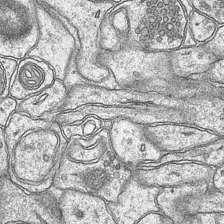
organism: Mouse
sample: CA1 Hippocampus